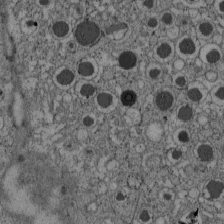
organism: C57BL Mouse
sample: Pancreatic islet